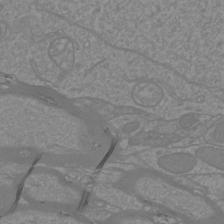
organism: Mouse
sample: Cortical neurons